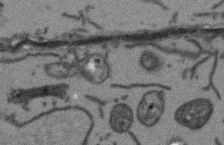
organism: Arabidopsis thaliana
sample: Root tip